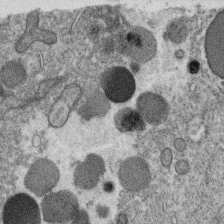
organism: C. elegans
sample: C. elegans oocyte; sperm cells